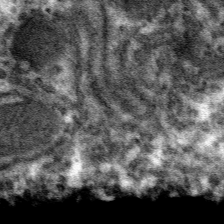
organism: Mouse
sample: Mouse hepatocytes